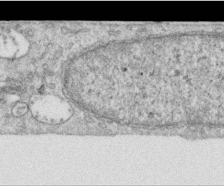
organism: Human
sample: Centriole in RPE cells